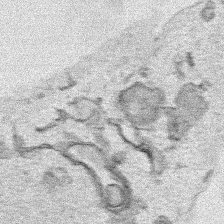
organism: Human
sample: Mitochondria in HCT116 cells